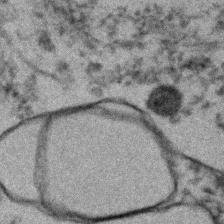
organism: Human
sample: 1205lu cells